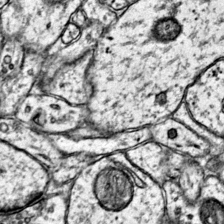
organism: Mouse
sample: Primary visual cortex